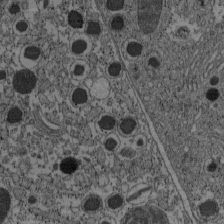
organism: C57BL Mouse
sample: Pancreatic islet